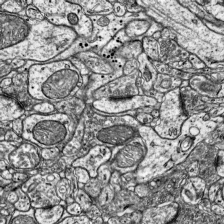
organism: Mouse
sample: Visual Cortex